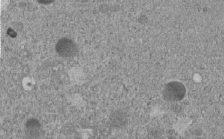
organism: C. elegans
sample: C. elegans embryo early stage